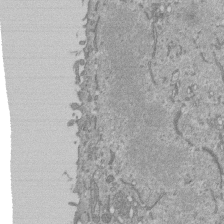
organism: Mouse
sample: ED-1 cell nuclei; centrioles